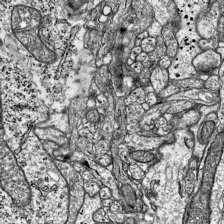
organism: Mouse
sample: Visual Cortex